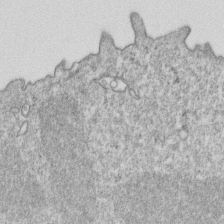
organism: Mouse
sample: Activated OT-1 CD8+ T cells